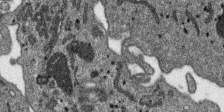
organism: Human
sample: Lung epithelial cells infected with SARS-CoV-2